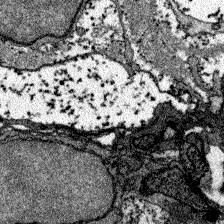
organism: Zebrafish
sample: Larval olfactory bulb